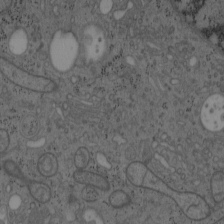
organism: Mouse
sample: OT-I killer T cells with ID8 ovarian cancer cells